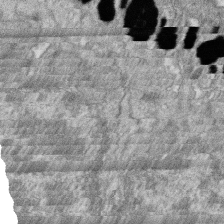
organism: Zebrafish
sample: Cilia; retinal pigment epithelium